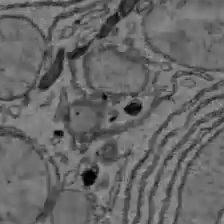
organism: C57BL Mouse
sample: Liver